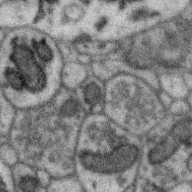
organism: Zebra finch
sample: Brain